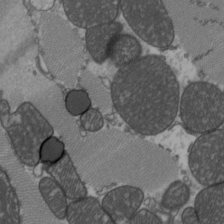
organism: C57BL Mouse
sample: Heart